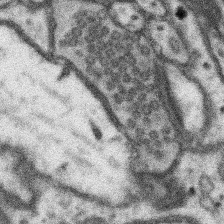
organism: Mouse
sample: Somatosensory cortex neuropil